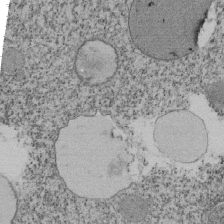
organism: Tetrahymena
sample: Cilia in tetrahymena